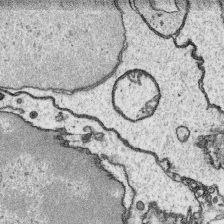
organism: Platynereis dumerilii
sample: Parapodia